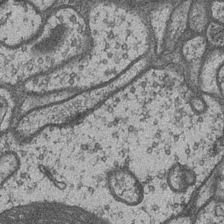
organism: Drosophila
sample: Optic medulla